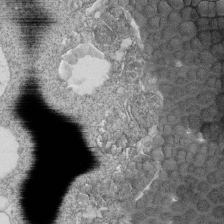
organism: Tetrahymena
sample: Cilia in tetrahymena